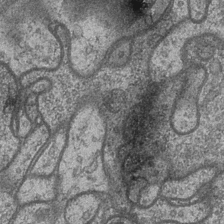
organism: Drosophila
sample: Optic medulla